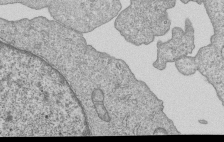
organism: Human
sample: MDA-MB-231 cells